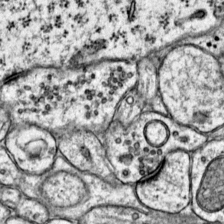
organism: Mouse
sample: Primary visual cortex